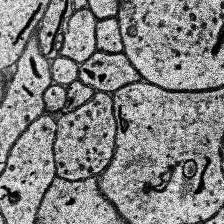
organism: Human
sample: Temporal Lobe